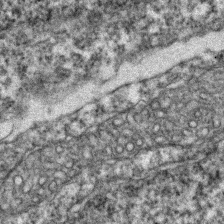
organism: Zebrafish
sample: Zebrafish embryo